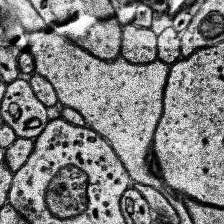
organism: Human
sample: Temporal Lobe